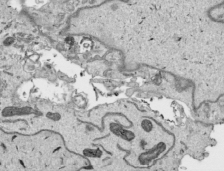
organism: Human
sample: Mitochondria in HCT116 cells